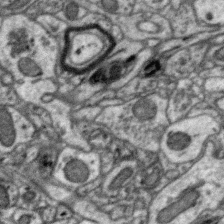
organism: Zebra finch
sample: Brain